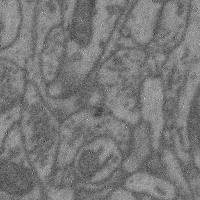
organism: Mouse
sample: Cerebral cortex